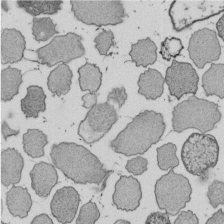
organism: E. coli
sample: Bacterial nucleoid